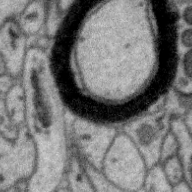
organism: Zebra finch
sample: Brain